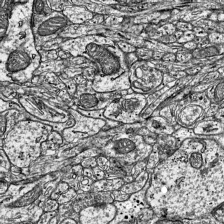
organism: Mouse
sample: Visual Cortex